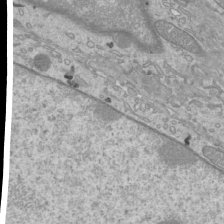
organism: Mouse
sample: Cilia; mouse epididymis